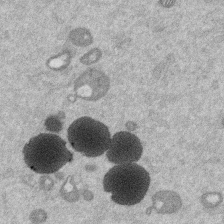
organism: Mouse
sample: Dividing mouse embryo 1 cell stage